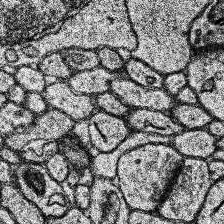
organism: Human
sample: Temporal Lobe